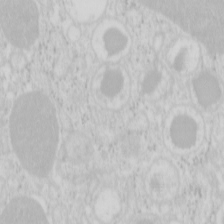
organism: Mouse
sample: Pancreas